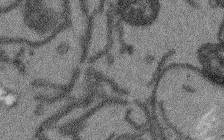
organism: Arabidopsis thaliana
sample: Root tip